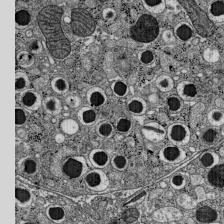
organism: C57BL Mouse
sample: Pancreatic islet